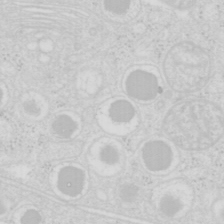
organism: Mouse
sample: Pancreas